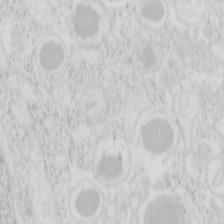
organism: Mouse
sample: Pancreas